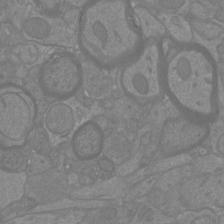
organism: Mouse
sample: Cortical neurons